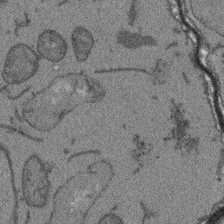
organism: Arabidopsis thaliana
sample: Root tip